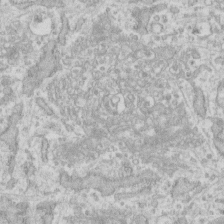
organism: Human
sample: Fibroblast cells